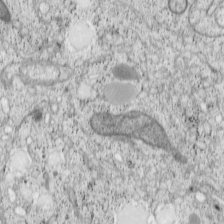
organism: African green monkey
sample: COS-7 cells